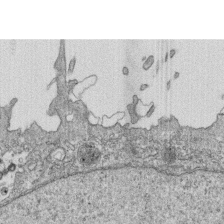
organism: Human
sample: HeLa cell HIV synapse